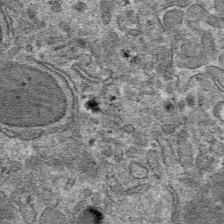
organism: Mouse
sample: Mouse hepatocytes